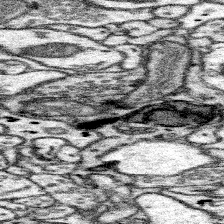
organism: Mouse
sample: Somatosensory cortex neuropil